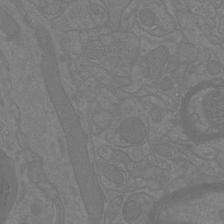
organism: Mouse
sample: Cortical neurons